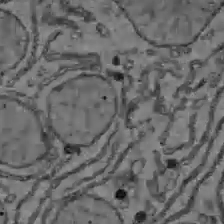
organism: C57BL Mouse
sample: Liver